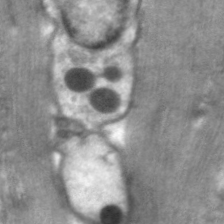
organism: C. elegans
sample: Pharynx